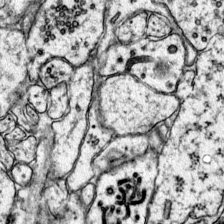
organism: Mouse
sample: Primary visual cortex